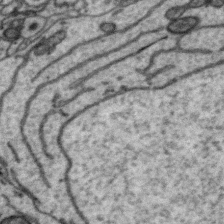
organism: Zebra finch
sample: Brain